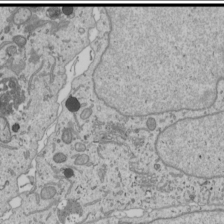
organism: Human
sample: Mitochondria in U2OS cells